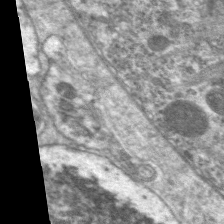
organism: C. elegans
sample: Pharynx